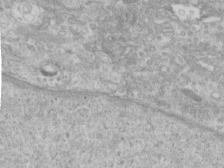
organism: Human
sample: Centriole in RPE cells